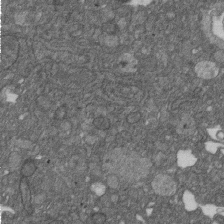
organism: Drosophila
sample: Nephrocyte